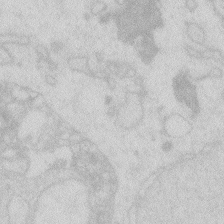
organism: Zebrafish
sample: Macrophage